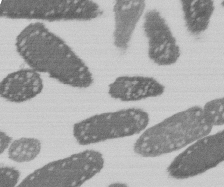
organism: E. coli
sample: Bacterial nucleoid